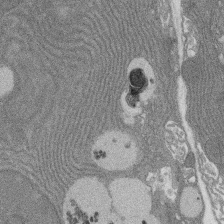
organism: Rat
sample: Salivary granule